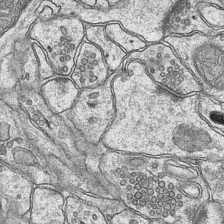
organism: Mouse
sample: CA1 Hippocampus